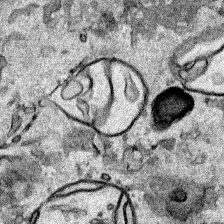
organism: Human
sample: Mitochondria in HCT116 cells